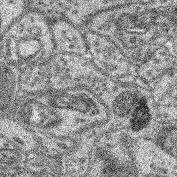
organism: Mouse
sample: Retina